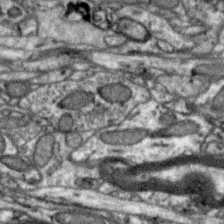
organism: Zebra finch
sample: Brain